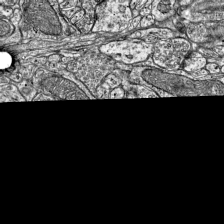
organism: Mouse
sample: Visual Cortex